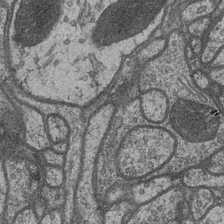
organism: Drosophila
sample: Optic medulla